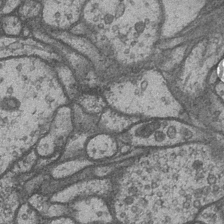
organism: Drosophila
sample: Optic medulla